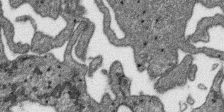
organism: Human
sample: Lung epithelial cells infected with SARS-CoV-2